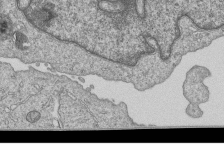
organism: Human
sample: MDA-MB-231 cells